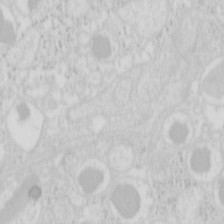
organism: Mouse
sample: Pancreas